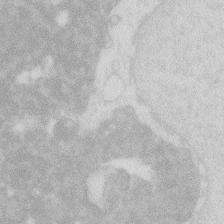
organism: Zebrafish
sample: Macrophage